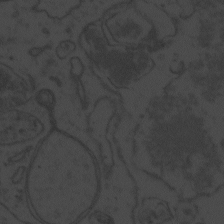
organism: Zebrafish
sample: Macrophage infected with Toxoplasma gondii